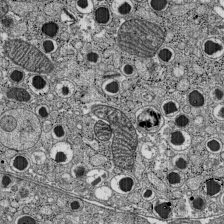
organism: C57BL Mouse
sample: Pancreatic islet